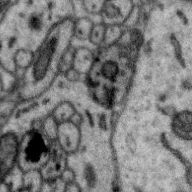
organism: Zebra finch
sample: Brain